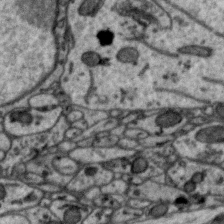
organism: Zebra finch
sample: Brain